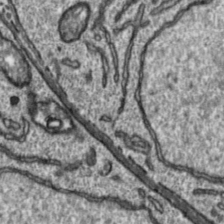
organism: Toxoplasma gondii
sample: Parasites in a vacuole inside a host cell